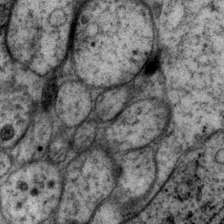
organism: P. pacificus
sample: Pharynx